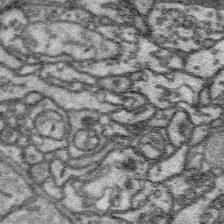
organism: Platynereis dumerilii